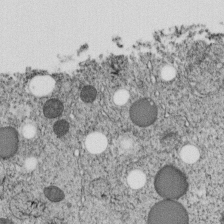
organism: C. elegans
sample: C. elegans embryo early stage